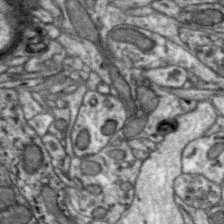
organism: Zebra finch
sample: Brain